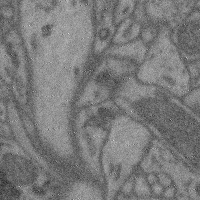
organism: Mouse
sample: Cerebral cortex